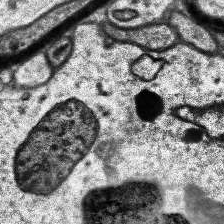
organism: Human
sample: Temporal Lobe